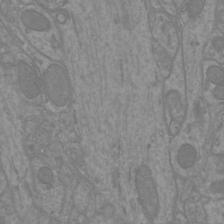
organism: Mouse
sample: Cortical neurons